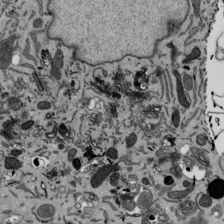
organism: Mouse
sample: ED-1 cell nuclei; centrioles